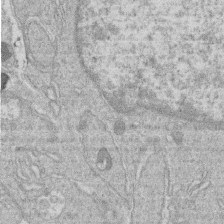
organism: Human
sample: Macrophage cells